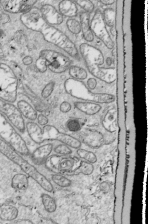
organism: Drosophila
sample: Cell division; meiosis; drosophila spermatocytes